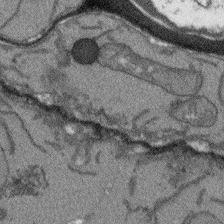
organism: Arabidopsis thaliana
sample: Root tip